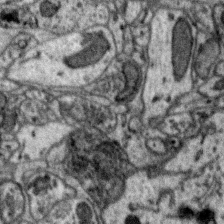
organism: Zebra finch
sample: Brain